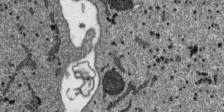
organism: Human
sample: Lung epithelial cells infected with SARS-CoV-2